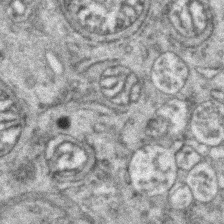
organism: Zebrafish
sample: Zebrafish embryo